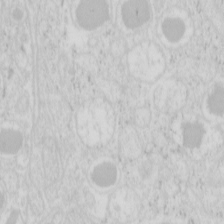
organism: Mouse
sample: Pancreas